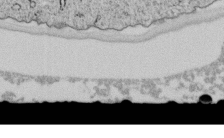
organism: C. elegans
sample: C. elegans embryo early stage